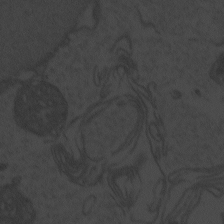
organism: Zebrafish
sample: Macrophage infected with Toxoplasma gondii